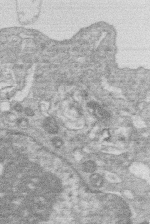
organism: Human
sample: Macrophage cells